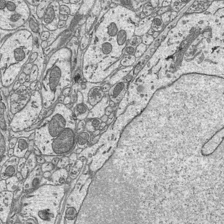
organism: Mouse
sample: Suprachiasmatic nucleus